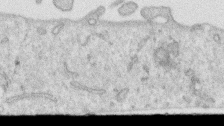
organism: Human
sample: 1205lu cells